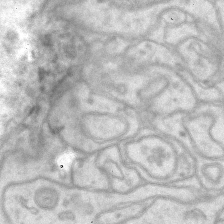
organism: Mouse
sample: CA1 Hippocampus